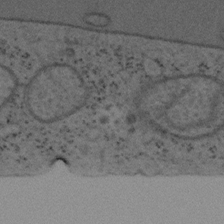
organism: Human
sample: HeLa cells